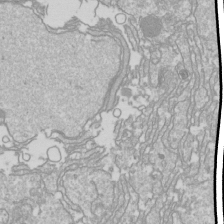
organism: Drosophila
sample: Cell division; meiosis; drosophila spermatocytes